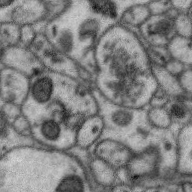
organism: Zebra finch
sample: Brain